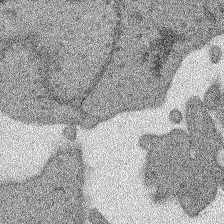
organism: Human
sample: HeLa cells